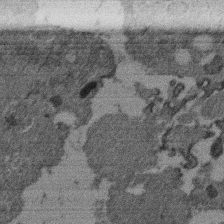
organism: Mouse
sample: Dividing mouse embryo 1 cell stage